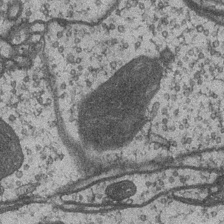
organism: Drosophila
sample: Optic medulla